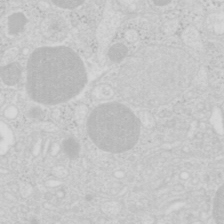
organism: Mouse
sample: Pancreas